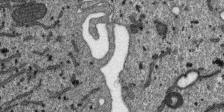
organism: Human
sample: Lung epithelial cells infected with SARS-CoV-2